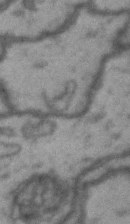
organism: Drosophila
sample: Brain